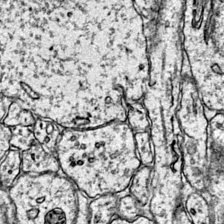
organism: Mouse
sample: Primary visual cortex